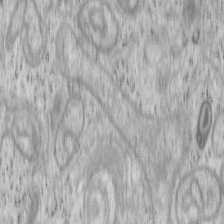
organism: Human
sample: HeLa cells